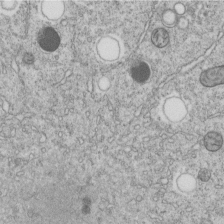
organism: C. elegans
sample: C. elegans embryo early stage